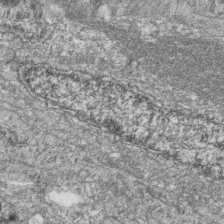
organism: Zebrafish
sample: Cilia; retinal pigment epithelium